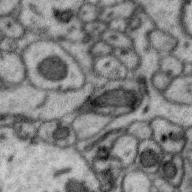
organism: Zebra finch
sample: Brain